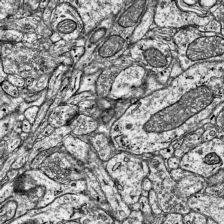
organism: Mouse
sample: Visual Cortex